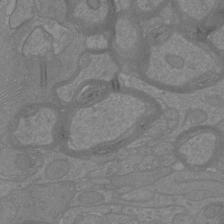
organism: Mouse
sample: Cortical neurons